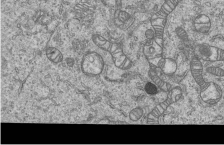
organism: Human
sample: MDA-MB-231 cells